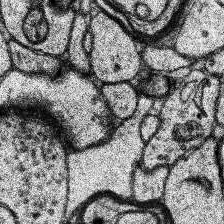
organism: Human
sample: Temporal Lobe